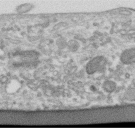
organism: Human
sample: Centriole in RPE cells